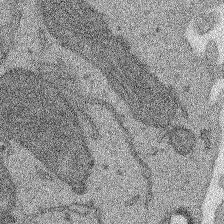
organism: Human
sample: HeLa cells